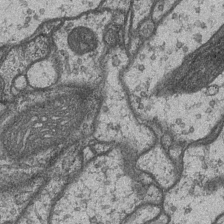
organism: Drosophila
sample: Optic medulla